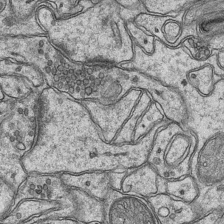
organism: Mouse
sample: CA1 Hippocampus